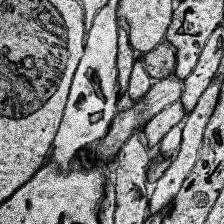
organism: Human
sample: Temporal Lobe